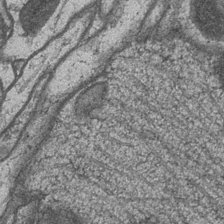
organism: Drosophila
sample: Optic medulla